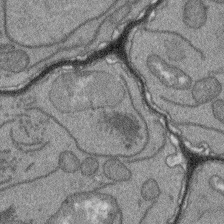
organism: Arabidopsis thaliana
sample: Root tip